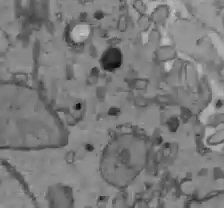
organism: C57BL Mouse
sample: Liver